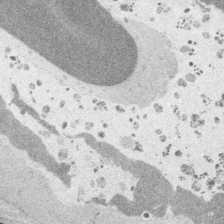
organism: Embia sp.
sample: Silk gland